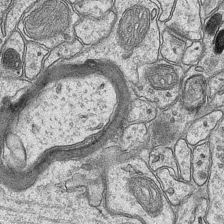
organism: Mouse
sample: CA1 Hippocampus